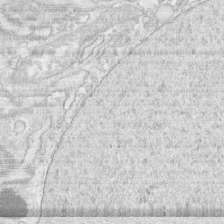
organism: Human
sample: CRL-1474